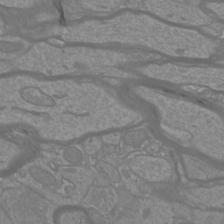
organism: Mouse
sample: Cortical neurons